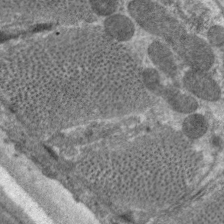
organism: C. elegans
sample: Pharynx